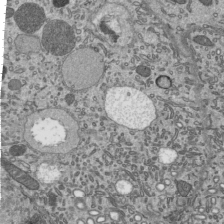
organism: Mouse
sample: Mouse epididymis efferent ductule cilia